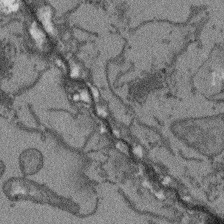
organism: Arabidopsis thaliana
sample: Root tip